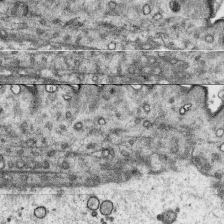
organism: Platynereis dumerilii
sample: Parapodia